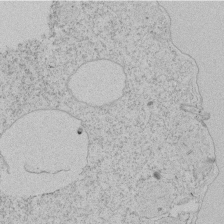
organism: Tetrahymena